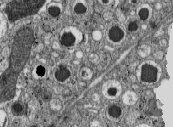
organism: C57BL Mouse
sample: Pancreatic islet